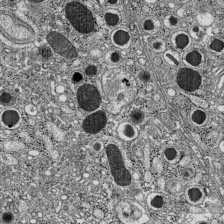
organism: C57BL Mouse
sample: Pancreatic islet